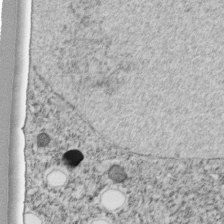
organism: C. elegans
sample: C. elegans embryo early stage